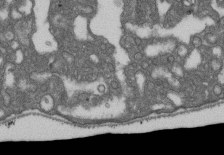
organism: Drosophila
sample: Nephrocyte